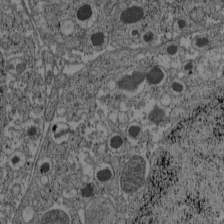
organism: C57BL Mouse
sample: Pancreatic islet